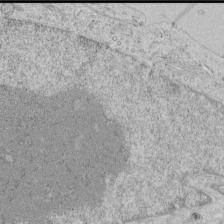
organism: Human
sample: Mitochondria in HCT116 cells